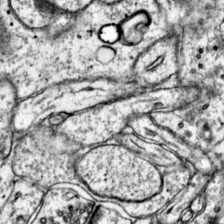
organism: Mouse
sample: Primary visual cortex